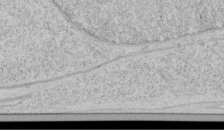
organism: Human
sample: Mitochondria in HCT116 cells